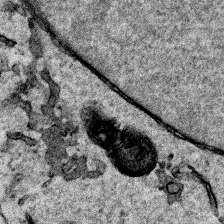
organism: Human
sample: Mitochondria in HCT116 cells